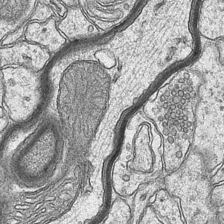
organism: Mouse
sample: CA1 Hippocampus